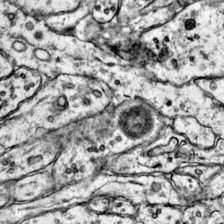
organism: Mouse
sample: Primary visual cortex